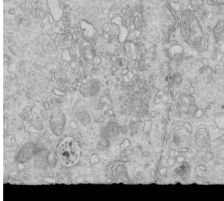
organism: Mouse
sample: Multiciliated cells